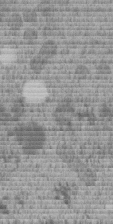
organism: C. elegans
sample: C. elegans embryo early stage